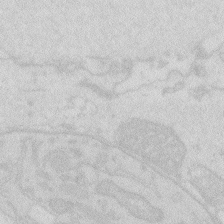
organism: Zebrafish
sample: Macrophage